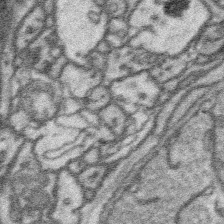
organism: Platynereis dumerilii